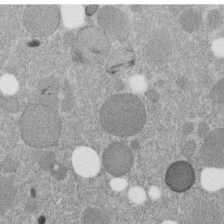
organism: C. elegans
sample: C. elegans embryo early stage